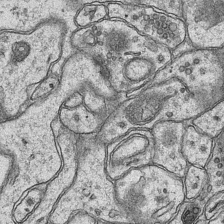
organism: Mouse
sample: CA1 Hippocampus